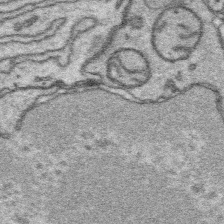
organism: Platynereis dumerilii